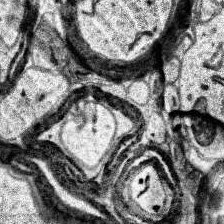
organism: Human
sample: Temporal Lobe